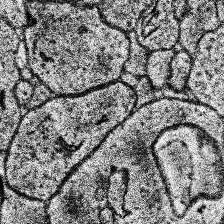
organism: Human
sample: Temporal Lobe